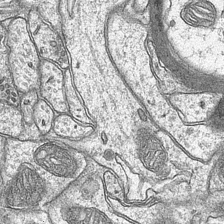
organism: Mouse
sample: CA1 Hippocampus